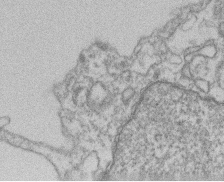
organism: Mouse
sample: T cell stromal cell synapse